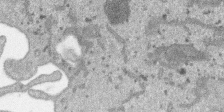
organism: Human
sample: Lung epithelial cells infected with SARS-CoV-2